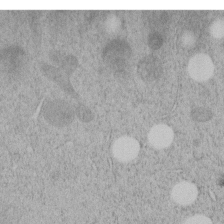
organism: C. elegans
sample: C. elegans embryo early stage